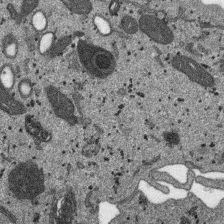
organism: Human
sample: Lung epithelial cells infected with SARS-CoV-2